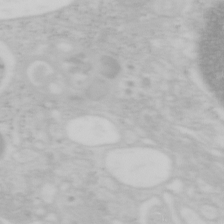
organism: Mouse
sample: OT-I killer T cells with ID8 ovarian cancer cells